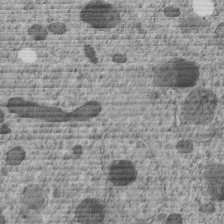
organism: C. elegans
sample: C. elegans embryo early stage